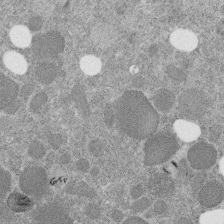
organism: C. elegans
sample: C. elegans embryo early stage